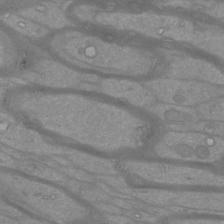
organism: Mouse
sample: Cortical neurons